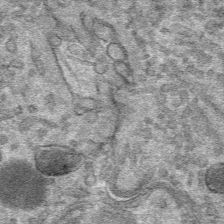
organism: Mouse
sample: Mouse hepatocytes